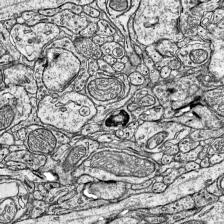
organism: Mouse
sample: Visual Cortex